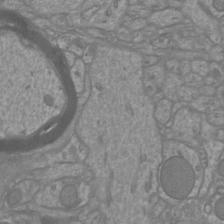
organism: Mouse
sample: Cortical neurons